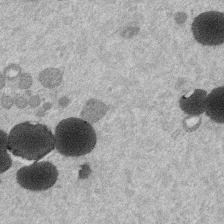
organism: Mouse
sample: Dividing mouse embryo 1 cell stage